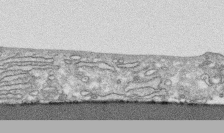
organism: Human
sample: CRL-1474